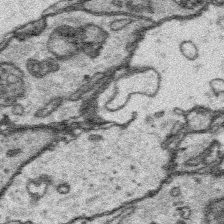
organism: Platynereis dumerilii